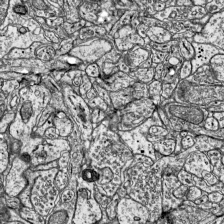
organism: Mouse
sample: Visual Cortex